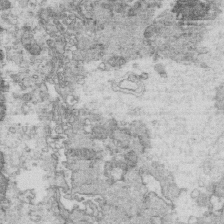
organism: Mouse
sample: Multiciliated cells